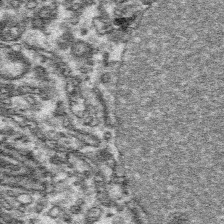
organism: Platynereis dumerilii